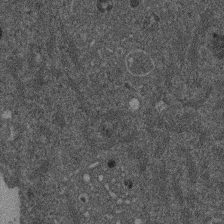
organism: Mouse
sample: Dividing mouse embryo 1 cell stage